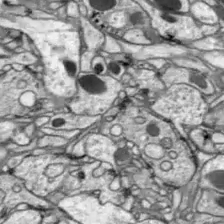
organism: Drosophila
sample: Optic lobe